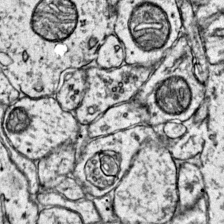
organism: Mouse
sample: Primary visual cortex